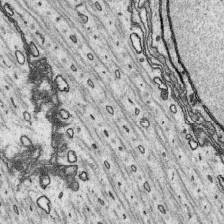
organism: Platynereis dumerilii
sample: Parapodia